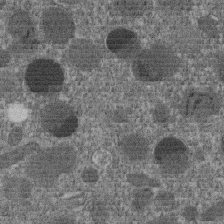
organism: C. elegans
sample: C. elegans embryo early stage